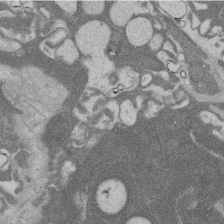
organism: Rat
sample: Salivary granule